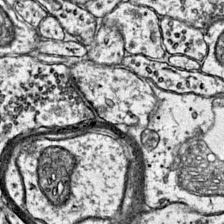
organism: Mouse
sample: Primary visual cortex